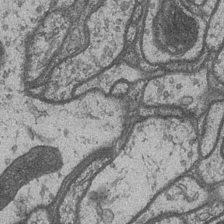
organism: Drosophila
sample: Optic medulla